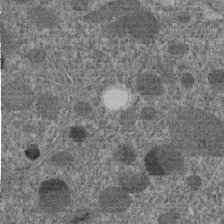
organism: C. elegans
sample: C. elegans embryo early stage